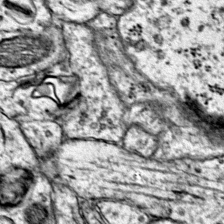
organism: Mouse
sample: Primary visual cortex